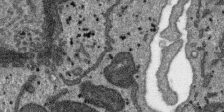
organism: Human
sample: Lung epithelial cells, uninfected (mock) control